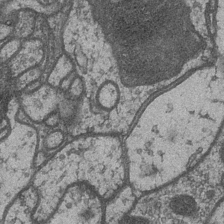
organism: Drosophila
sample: Optic medulla